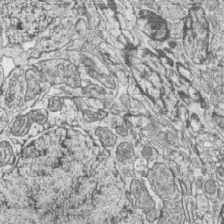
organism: Zebrafish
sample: synaptic ribbons in rod cells and cone cells